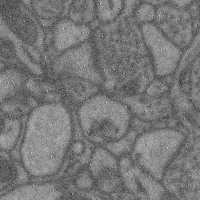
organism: Mouse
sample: Cerebral cortex